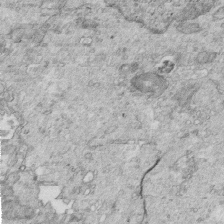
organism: Mouse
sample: Multiciliated cells